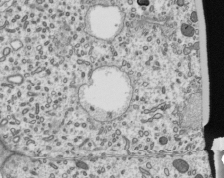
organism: Mouse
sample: Mouse epididymis efferent ductule cilia